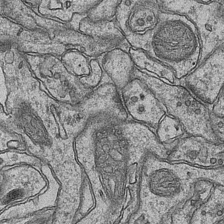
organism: Mouse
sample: CA1 Hippocampus